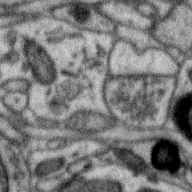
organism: Zebra finch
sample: Brain